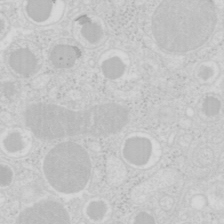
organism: Mouse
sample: Pancreas